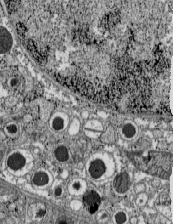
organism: C57BL Mouse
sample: Pancreatic islet